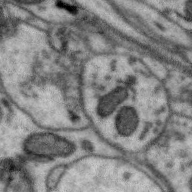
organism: Zebra finch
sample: Brain